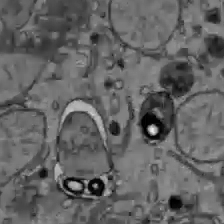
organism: C57BL Mouse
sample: Liver